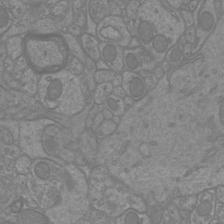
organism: Mouse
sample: Cortical neurons